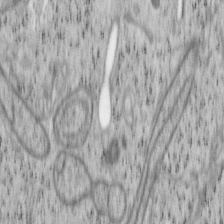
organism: Human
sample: HeLa cells